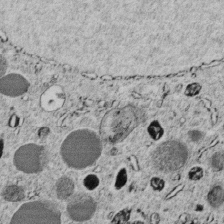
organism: C. elegans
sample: C. elegans embryo early stage